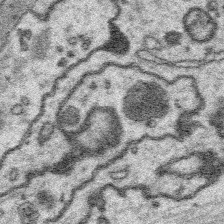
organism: Platynereis dumerilii